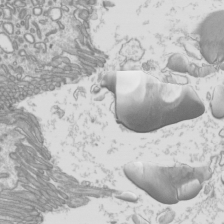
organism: Mouse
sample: Cilia; mouse epididymis